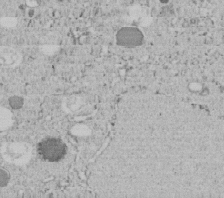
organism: C. elegans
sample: C. elegans embryo early stage